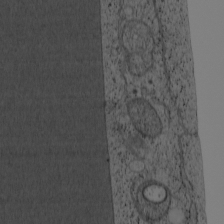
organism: African green monkey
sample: COS-7 cells